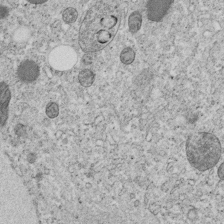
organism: C. elegans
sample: C. elegans embryo early stage